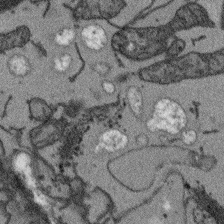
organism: Arabidopsis thaliana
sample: Root tip